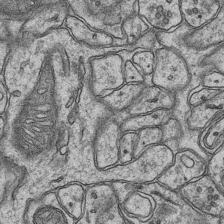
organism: Mouse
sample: CA1 Hippocampus